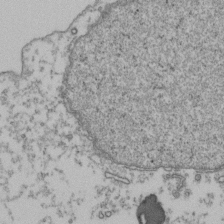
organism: Human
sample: Activated Jurkat CD4+ T cells